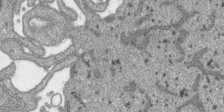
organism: Human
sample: Lung epithelial cells infected with SARS-CoV-2